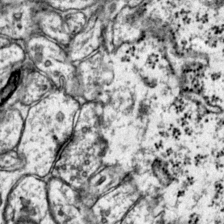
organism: Mouse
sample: Primary visual cortex